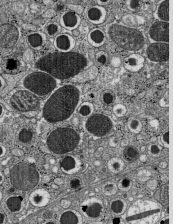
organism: C57BL Mouse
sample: Pancreatic islet